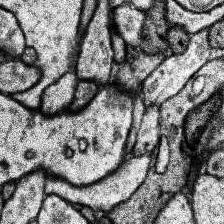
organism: Human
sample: Temporal Lobe